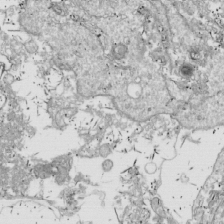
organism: Drosophila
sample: Cell division; meiosis; drosophila spermatocytes